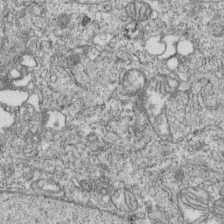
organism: Human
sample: HeLa cell HIV synapse